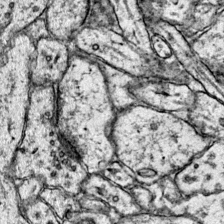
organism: Mouse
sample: Primary visual cortex